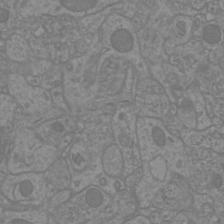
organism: Mouse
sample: Cortical neurons